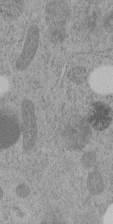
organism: C. elegans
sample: C. elegans embryo early stage